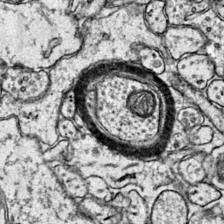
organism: Mouse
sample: Primary visual cortex